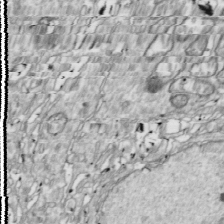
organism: Drosophila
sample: Cell division; meiosis; drosophila spermatocytes